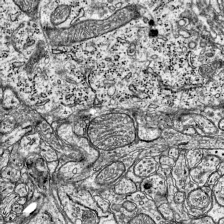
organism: Mouse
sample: Visual Cortex